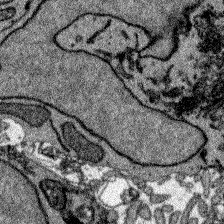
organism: Zebrafish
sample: Larval olfactory bulb